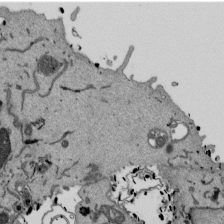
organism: Mouse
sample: ED-1 cell nuclei; centrioles